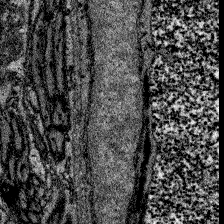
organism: Zebrafish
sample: Larval olfactory bulb